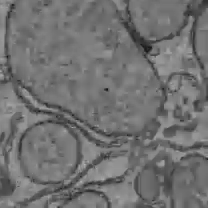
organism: C57BL Mouse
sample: Liver